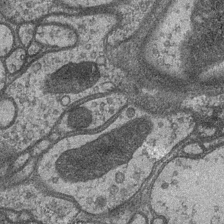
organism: Drosophila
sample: Optic medulla